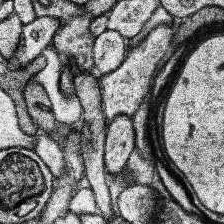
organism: Human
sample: Temporal Lobe